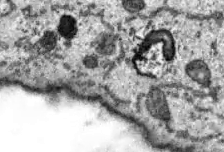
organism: Human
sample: HeLa cells